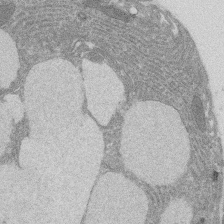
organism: Rat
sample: Salivary granule